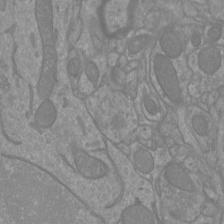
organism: Mouse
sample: Cortical neurons